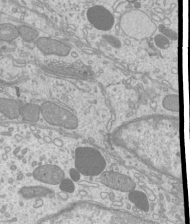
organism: Mouse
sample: Cilia; mouse epididymis